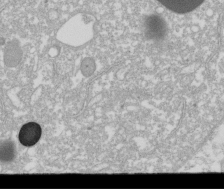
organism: Xenopus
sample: Cilia; centrioles in frog embryo cells